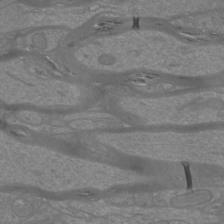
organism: Mouse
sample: Cortical neurons